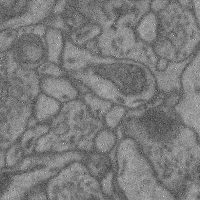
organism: Mouse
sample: Cerebral cortex